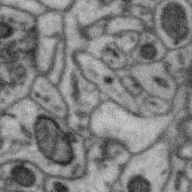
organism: Zebra finch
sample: Brain